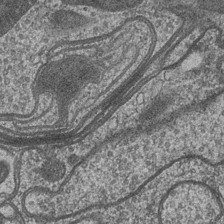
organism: Drosophila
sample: Optic medulla